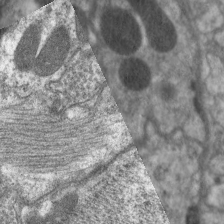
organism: C. elegans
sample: Pharynx